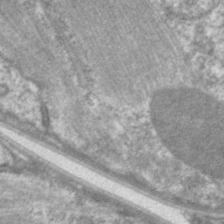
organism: C. elegans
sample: Pharynx